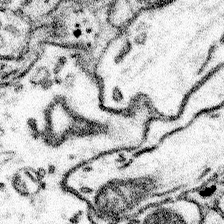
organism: Mouse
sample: Somatosensory cortex neuropil